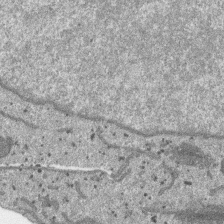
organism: Human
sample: Lung epithelial cells infected with SARS-CoV-2